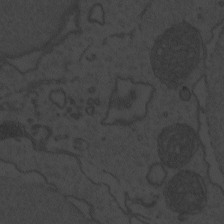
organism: Zebrafish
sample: Macrophage infected with Toxoplasma gondii